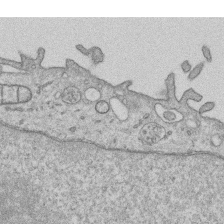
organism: Human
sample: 1205lu cells